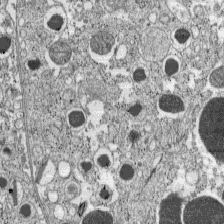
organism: C57BL Mouse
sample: Pancreatic islet